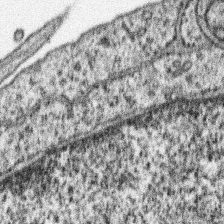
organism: Human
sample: HeLa cells